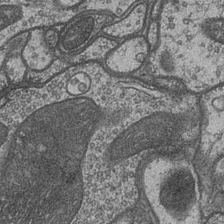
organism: Drosophila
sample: Optic medulla